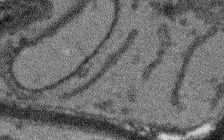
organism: Arabidopsis thaliana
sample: Root tip